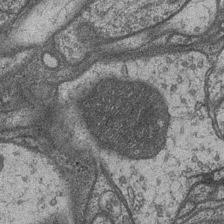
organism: Drosophila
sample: Optic medulla